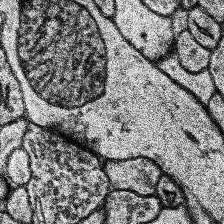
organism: Human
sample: Temporal Lobe